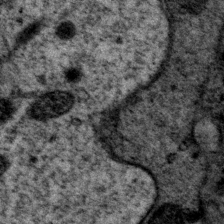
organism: P. pacificus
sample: Pharynx